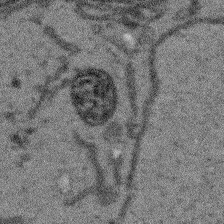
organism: Arabidopsis thaliana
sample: Root tip